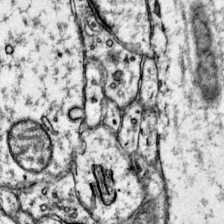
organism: Mouse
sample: Primary visual cortex